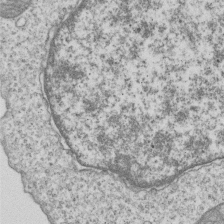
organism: Human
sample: MDA-MB-231 cells